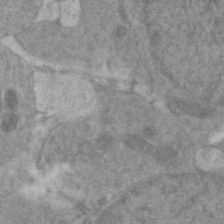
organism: Zebrafish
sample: Zebrafish embryo